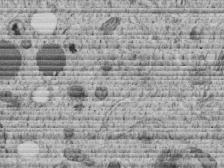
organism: C. elegans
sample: C. elegans embryo early stage